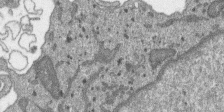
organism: Human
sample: Lung epithelial cells infected with SARS-CoV-2